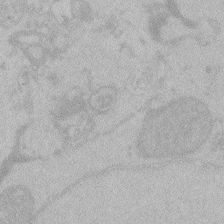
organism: Zebrafish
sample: Macrophage infected with Toxoplasma gondii